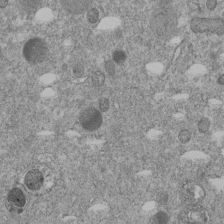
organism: C. elegans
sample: C. elegans embryo early stage